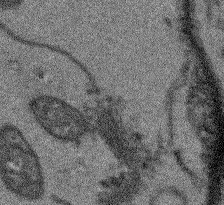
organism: Arabidopsis thaliana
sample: Root tip